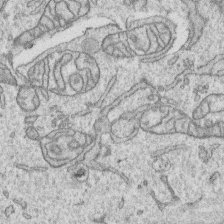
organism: Human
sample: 1205lu cells